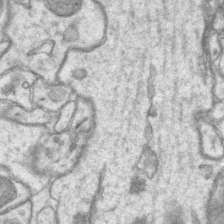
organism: Mouse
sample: CA1 Hippocampus